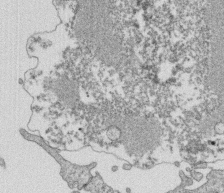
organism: Human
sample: HeLa cell HIV synapse